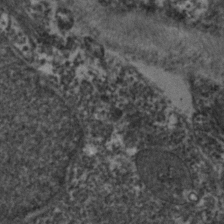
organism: Zebrafish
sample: Zebrafish embryo